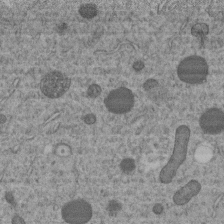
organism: C. elegans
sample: C. elegans embryo early stage